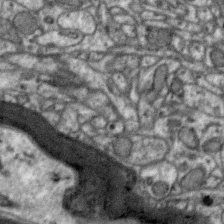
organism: Zebra finch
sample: Brain